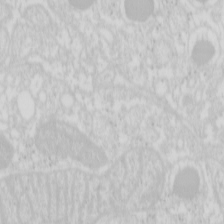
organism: Mouse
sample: Pancreas